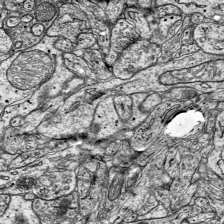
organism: Mouse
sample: Visual Cortex